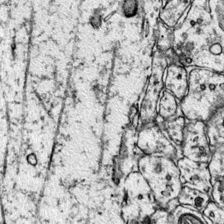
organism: Mouse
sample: Primary visual cortex